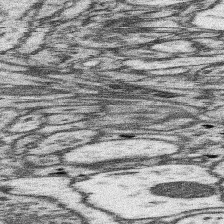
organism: Mouse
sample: Somatosensory cortex neuropil